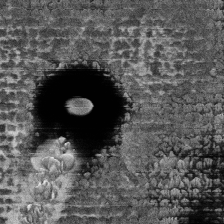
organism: Human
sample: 1205lu cells